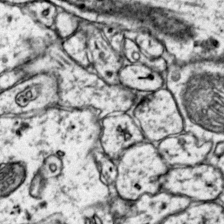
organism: Mouse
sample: Primary visual cortex